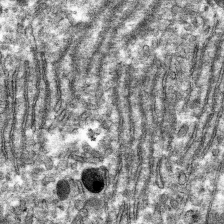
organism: Mouse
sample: Mouse hepatocytes